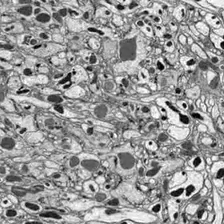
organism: Drosophila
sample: Optic lobe